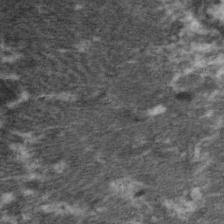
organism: C. elegans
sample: Pharynx